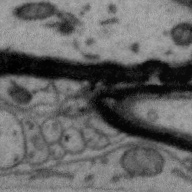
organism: Zebra finch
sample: Brain